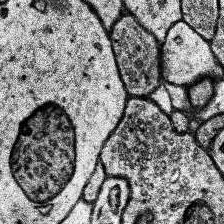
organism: Human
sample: Temporal Lobe